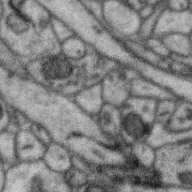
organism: Zebra finch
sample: Brain